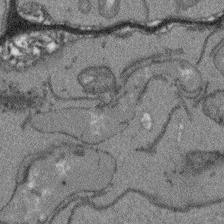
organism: Arabidopsis thaliana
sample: Root tip